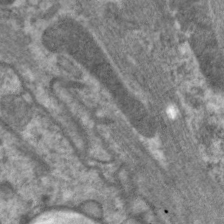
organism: C. elegans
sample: Pharynx